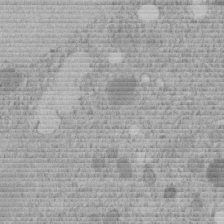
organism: C. elegans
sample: C. elegans embryo early stage